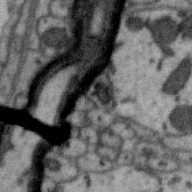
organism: Zebra finch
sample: Brain